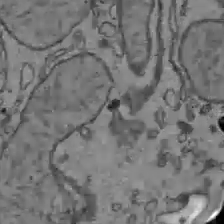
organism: C57BL Mouse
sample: Liver